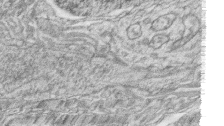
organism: Zebrafish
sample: synaptic ribbons in rod cells and cone cells